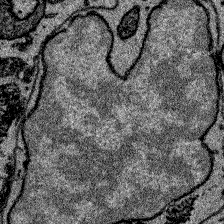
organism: Zebrafish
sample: Larval olfactory bulb